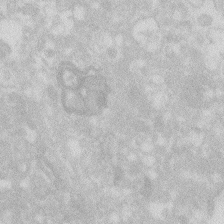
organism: Zebrafish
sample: Macrophage